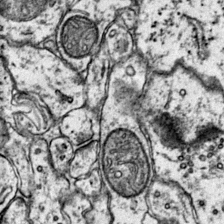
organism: Mouse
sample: Primary visual cortex